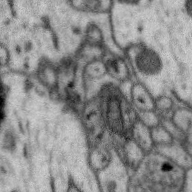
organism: Zebra finch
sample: Brain